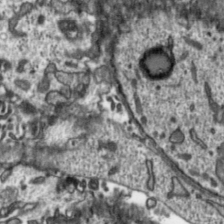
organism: Toxoplasma gondii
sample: Parasites in a vacuole inside a host cell